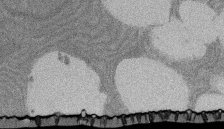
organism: Rat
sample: Salivary granule